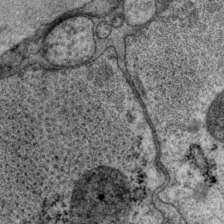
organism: P. pacificus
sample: Pharynx